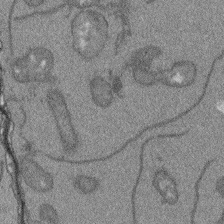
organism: Arabidopsis thaliana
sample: Root tip